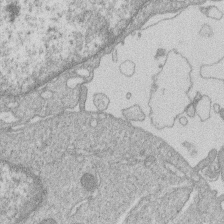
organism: Human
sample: Macrophage cells